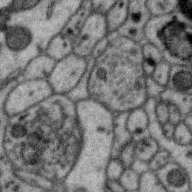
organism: Zebra finch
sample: Brain